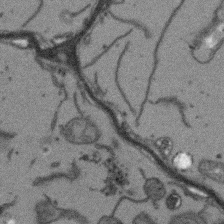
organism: Arabidopsis thaliana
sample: Root tip